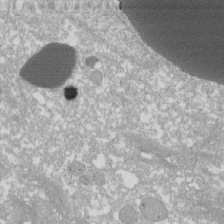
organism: Xenopus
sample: Cilia; centrioles in frog embryo cells